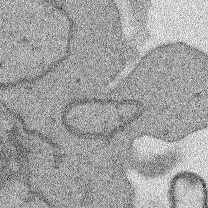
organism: Human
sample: HeLa cells